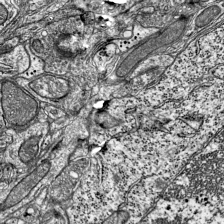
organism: Mouse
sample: Visual Cortex